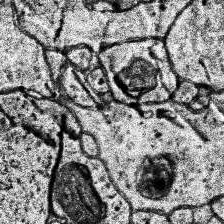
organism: Human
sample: Temporal Lobe